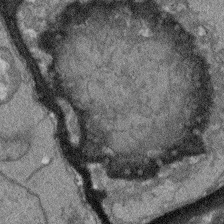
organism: Arabidopsis thaliana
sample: Root tip